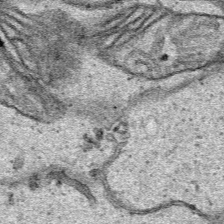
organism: Human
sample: Mitochondria in HCT116 cells